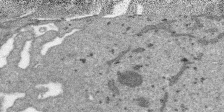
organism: Human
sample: Lung epithelial cells infected with SARS-CoV-2